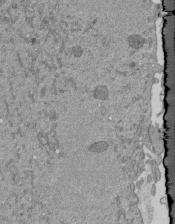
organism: Mouse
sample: ED-1 cell nuclei; centrioles